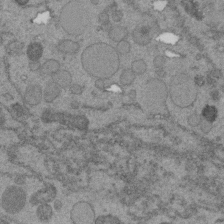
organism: C. elegans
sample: C. elegans embryo early stage